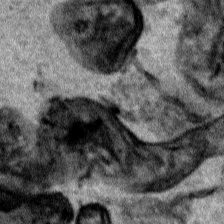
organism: Human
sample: Mitochondria in HCT116 cells